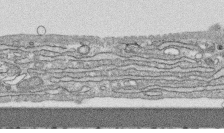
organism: Human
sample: CRL-1474